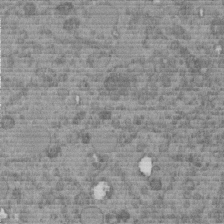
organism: C. elegans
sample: C. elegans embryo early stage